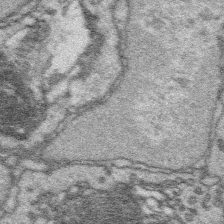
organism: Platynereis dumerilii